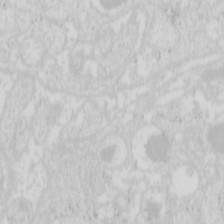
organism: Mouse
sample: Pancreas